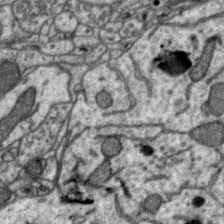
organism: Zebra finch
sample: Brain